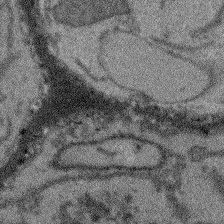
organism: Arabidopsis thaliana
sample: Root tip